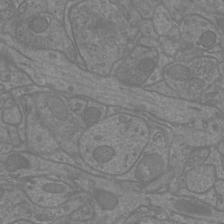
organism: Mouse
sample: Cortical neurons